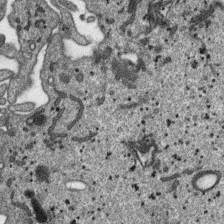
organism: Human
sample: Lung epithelial cells infected with SARS-CoV-2